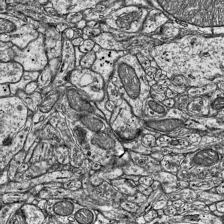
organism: Mouse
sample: Visual Cortex